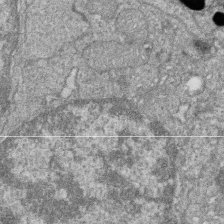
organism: Zebrafish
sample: Cilia; retinal pigment epithelium